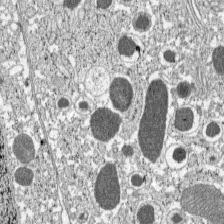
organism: C57BL Mouse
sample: Pancreatic islet